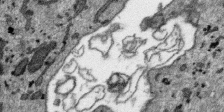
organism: Human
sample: Lung epithelial cells, uninfected (mock) control